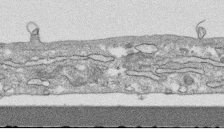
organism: Human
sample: CRL-1474